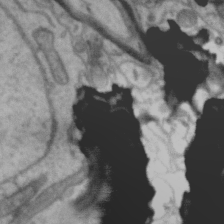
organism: Zebra finch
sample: Brain